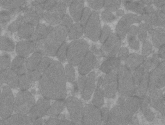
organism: C57BL Mouse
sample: Tibialis anterior muscle cell